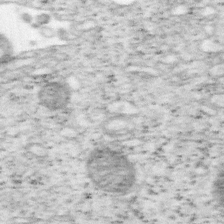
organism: Mouse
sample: OT-I killer T cells with ID8 ovarian cancer cells